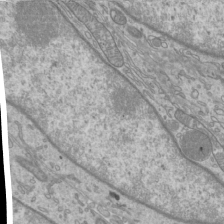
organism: Mouse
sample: Cilia; mouse epididymis